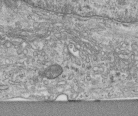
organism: Human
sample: Centriole in RPE cells